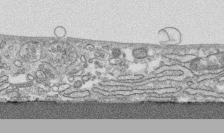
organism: Human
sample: CRL-1474